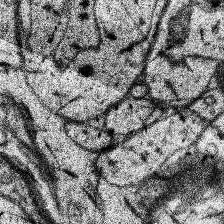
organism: Human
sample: Temporal Lobe